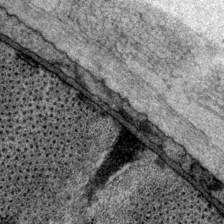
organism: P. pacificus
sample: Pharynx